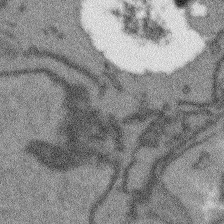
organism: Arabidopsis thaliana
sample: Root tip